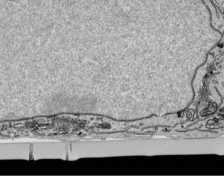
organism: Human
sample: Mitochondria in HCT116 cells